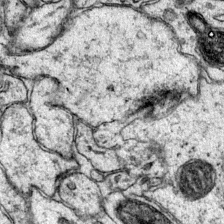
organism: Mouse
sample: Primary visual cortex